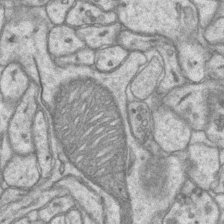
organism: Mouse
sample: CA1 Hippocampus